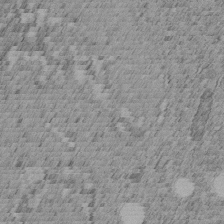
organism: C. elegans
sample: C. elegans embryo early stage